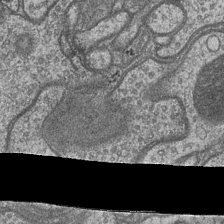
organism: Drosophila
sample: Optic medulla